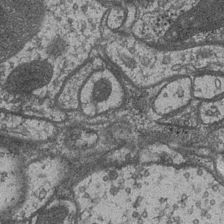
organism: Drosophila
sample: Optic medulla